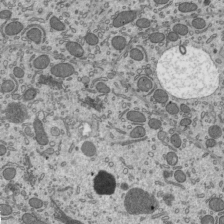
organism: Mouse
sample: Mouse epididymis efferent ductule cilia